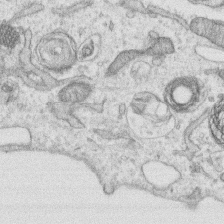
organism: Human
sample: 1205lu cells